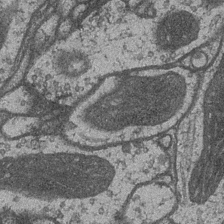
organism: Drosophila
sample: Optic medulla